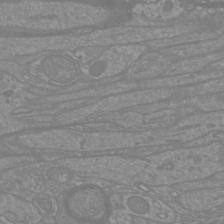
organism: Mouse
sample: Cortical neurons